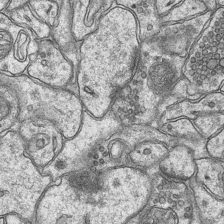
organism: Mouse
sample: CA1 Hippocampus